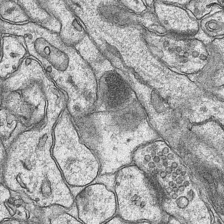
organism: Mouse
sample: CA1 Hippocampus